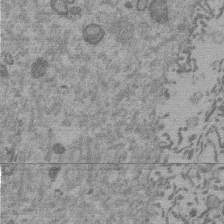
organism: Mouse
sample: Dividing mouse embryo 1 cell stage